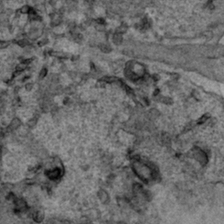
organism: Human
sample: Mitochondria in HCT116 cells